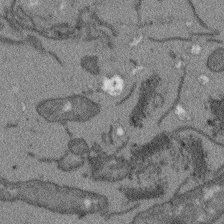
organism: Arabidopsis thaliana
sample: Root tip